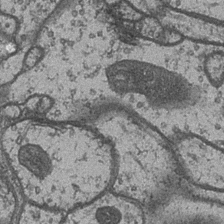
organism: Drosophila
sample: Optic medulla